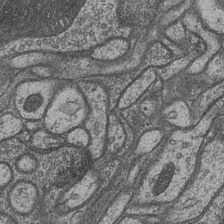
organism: Drosophila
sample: Optic medulla